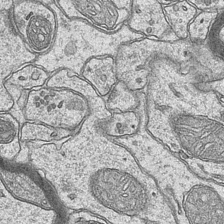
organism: Mouse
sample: CA1 Hippocampus